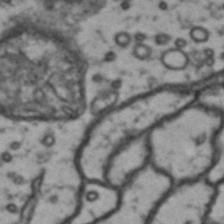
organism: Drosophila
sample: Brain